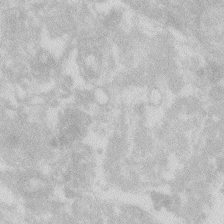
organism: Zebrafish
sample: Macrophage